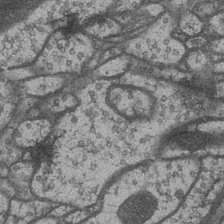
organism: Drosophila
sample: Optic medulla